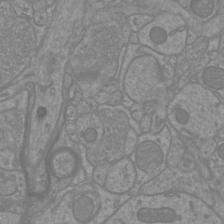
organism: Mouse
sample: Cortical neurons